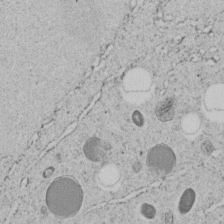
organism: C. elegans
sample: C. elegans embryo early stage